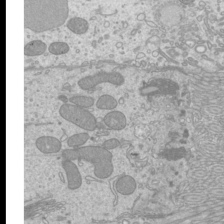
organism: Mouse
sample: Cilia; mouse epididymis